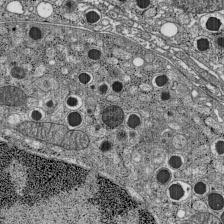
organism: C57BL Mouse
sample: Pancreatic islet